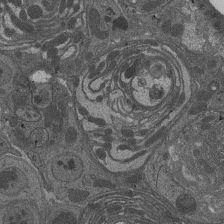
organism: Drosophila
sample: Antenna